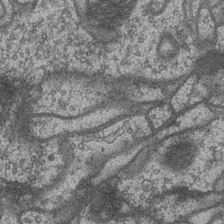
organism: Drosophila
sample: Optic medulla